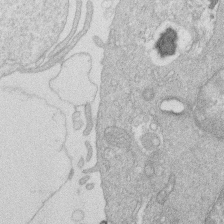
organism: Human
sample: Macrophage cells